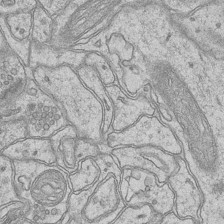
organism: Mouse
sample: CA1 Hippocampus